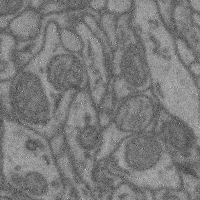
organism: Mouse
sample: Cerebral cortex